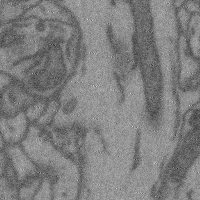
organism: Mouse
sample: Cerebral cortex